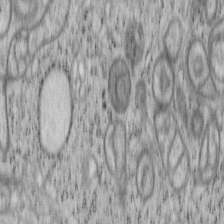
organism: Human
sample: HeLa cells